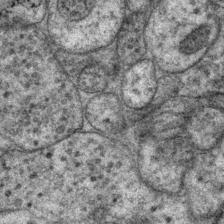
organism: P. pacificus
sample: Pharynx